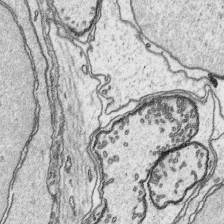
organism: Platynereis dumerilii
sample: Parapodia